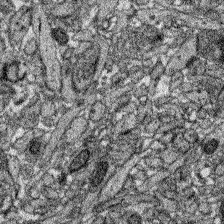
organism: Zebrafish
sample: Larval olfactory bulb